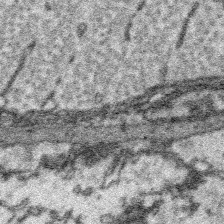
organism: Platynereis dumerilii